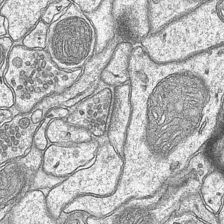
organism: Mouse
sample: CA1 Hippocampus